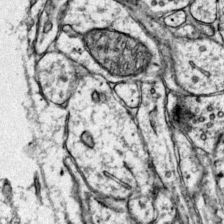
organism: Mouse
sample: Primary visual cortex